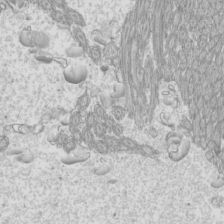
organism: Mouse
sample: Cilia; mouse epididymis